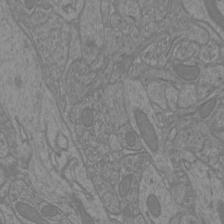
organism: Mouse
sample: Cortical neurons